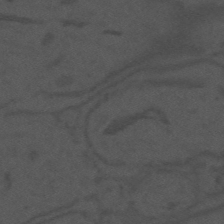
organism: Mouse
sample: Suprachiasmatic nucleus